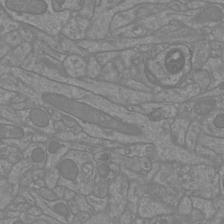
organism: Mouse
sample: Cortical neurons